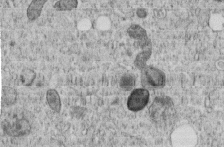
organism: C. elegans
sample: C. elegans embryo early stage